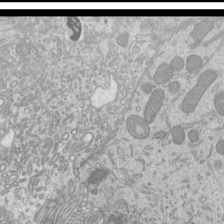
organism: Mouse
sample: Cilia; mouse epididymis